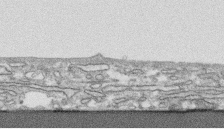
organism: Human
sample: CRL-1474